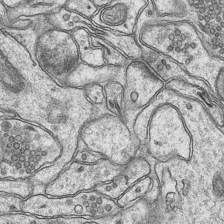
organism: Mouse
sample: CA1 Hippocampus